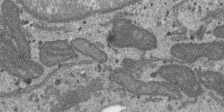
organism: Human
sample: Lung epithelial cells infected with SARS-CoV-2